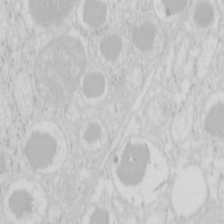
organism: Mouse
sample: Pancreas